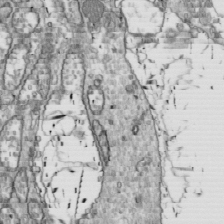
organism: Drosophila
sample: Cell division; meiosis; drosophila spermatocytes